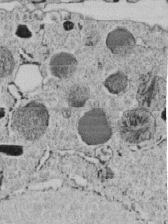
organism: C. elegans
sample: C. elegans embryo early stage